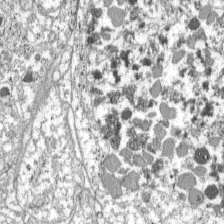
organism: C57BL Mouse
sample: Pancreatic islet